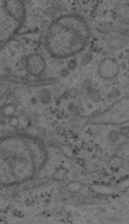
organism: Human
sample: HeLa cells